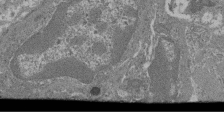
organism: Mouse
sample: Glomerulus